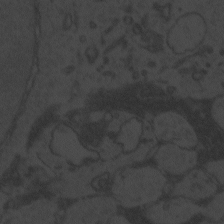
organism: Zebrafish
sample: Macrophage infected with Toxoplasma gondii